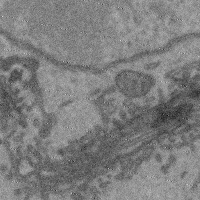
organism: Mouse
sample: Cerebral cortex